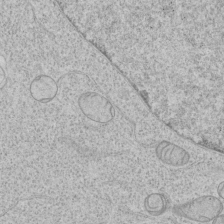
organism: Human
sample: Mitochondria in HCT116 cells